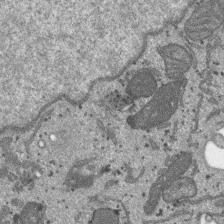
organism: Human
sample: Lung epithelial cells infected with SARS-CoV-2